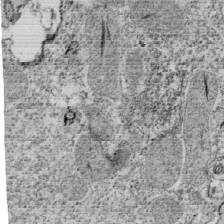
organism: Tetrahymena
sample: Cilia in tetrahymena